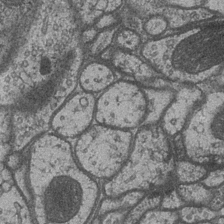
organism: Drosophila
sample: Optic medulla